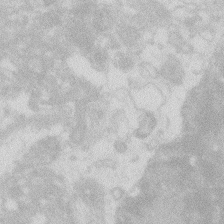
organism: Zebrafish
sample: Macrophage